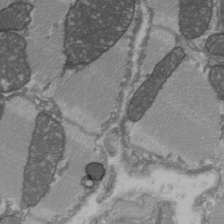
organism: C57BL Mouse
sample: Heart